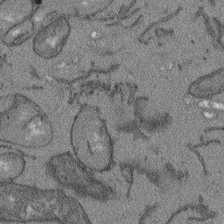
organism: Arabidopsis thaliana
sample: Root tip